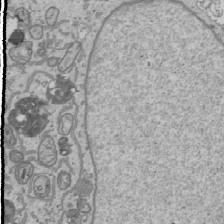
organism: Human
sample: Mitochondria in U2OS cells